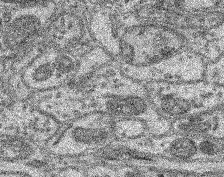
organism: Mouse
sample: Retina